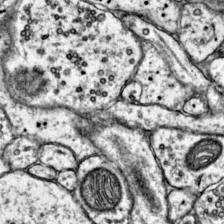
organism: Mouse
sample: Primary visual cortex